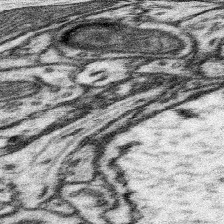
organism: Mouse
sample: Somatosensory cortex neuropil